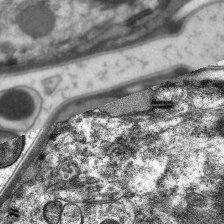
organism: C. elegans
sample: Pharynx